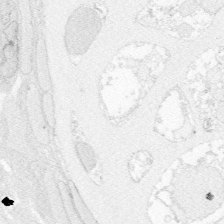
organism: Zebrafish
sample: Whole-Brain